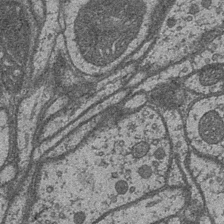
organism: Drosophila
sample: Optic medulla